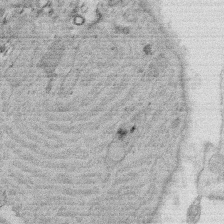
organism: Rat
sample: Salivary granule